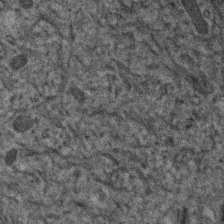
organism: Human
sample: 1205lu cells